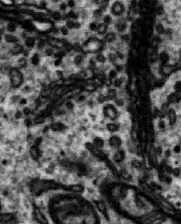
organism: Human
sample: HeLa cells